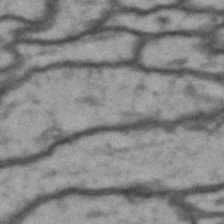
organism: Drosophila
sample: Brain